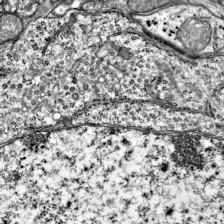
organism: Mouse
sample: Visual Cortex